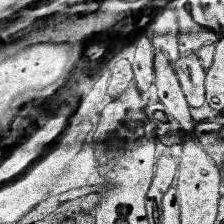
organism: Human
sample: Temporal Lobe